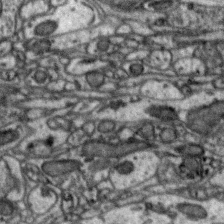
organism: Zebra finch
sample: Brain